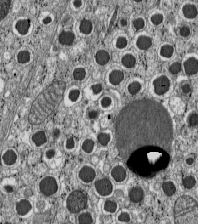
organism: C57BL Mouse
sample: Pancreatic islet